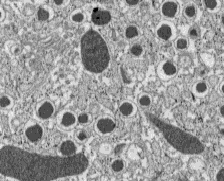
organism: C57BL Mouse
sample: Pancreatic islet